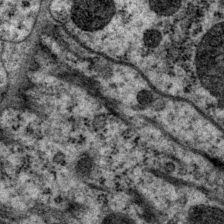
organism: P. pacificus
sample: Pharynx